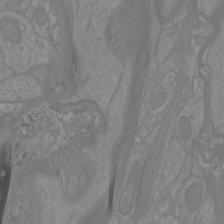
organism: Mouse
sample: Cortical neurons